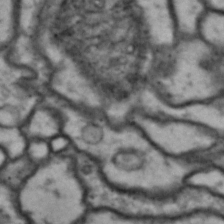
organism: Drosophila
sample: Brain